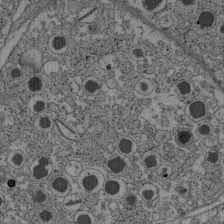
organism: C57BL Mouse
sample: Pancreatic islet